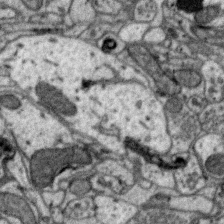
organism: Zebra finch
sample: Brain